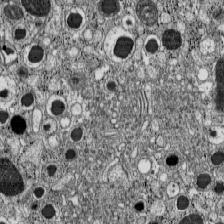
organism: C57BL Mouse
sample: Pancreatic islet